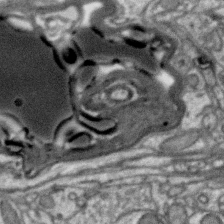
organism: Zebra finch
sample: Brain